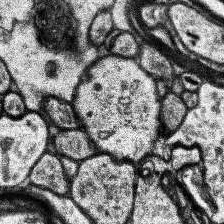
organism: Human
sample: Temporal Lobe